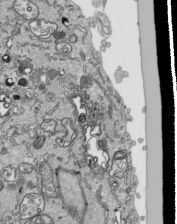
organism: Human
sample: Mitochondria in HCT116 cells